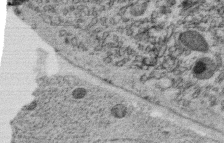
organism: C. elegans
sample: C. elegans oocyte; sperm cells